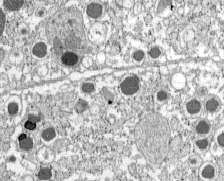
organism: C57BL Mouse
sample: Pancreatic islet